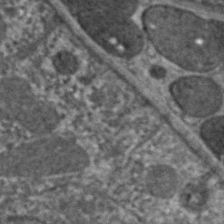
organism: C. elegans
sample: Pharynx